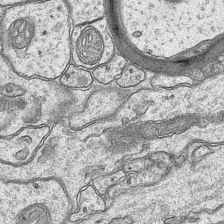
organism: Mouse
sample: CA1 Hippocampus